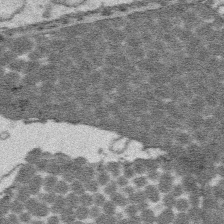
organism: Platynereis dumerilii